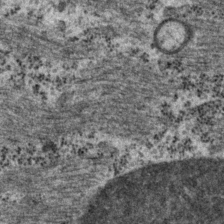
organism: P. pacificus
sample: Pharynx